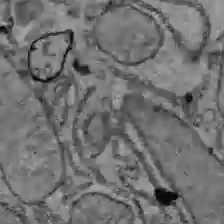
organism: C57BL Mouse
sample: Liver